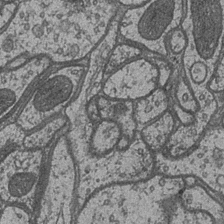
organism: Drosophila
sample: Optic medulla